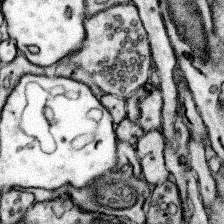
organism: Mouse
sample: Somatosensory cortex neuropil